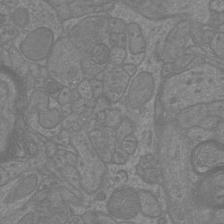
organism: Mouse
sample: Cortical neurons